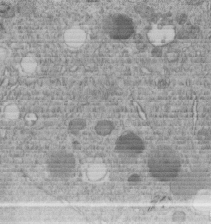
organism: C. elegans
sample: C. elegans embryo early stage